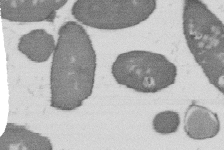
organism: B. subtilis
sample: Bacterial spore